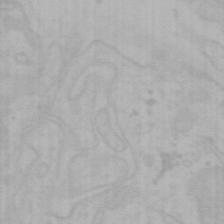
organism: Mouse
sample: Choroid plexus